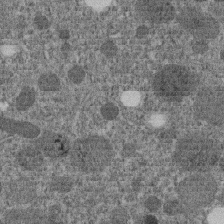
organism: C. elegans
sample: C. elegans embryo early stage